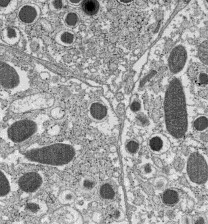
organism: C57BL Mouse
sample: Pancreatic islet